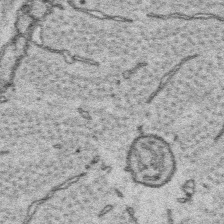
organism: Platynereis dumerilii